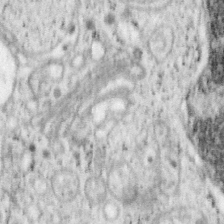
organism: Mouse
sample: OT-I killer T cells with ID8 ovarian cancer cells